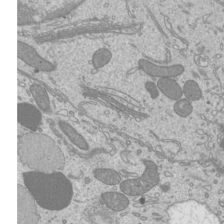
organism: Mouse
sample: Cilia; mouse epididymis